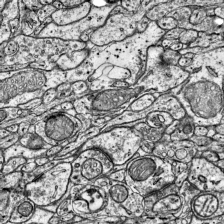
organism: Mouse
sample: Visual Cortex